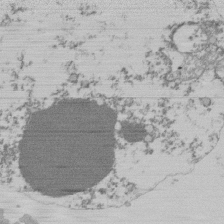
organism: Mouse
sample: Activated Pmel transgenic CD8+ T Cells